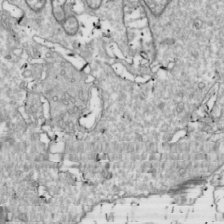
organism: Drosophila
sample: Cell division; meiosis; drosophila spermatocytes